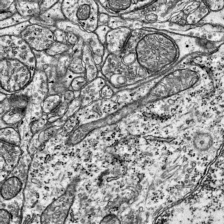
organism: Mouse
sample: Visual Cortex